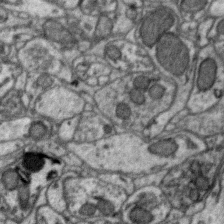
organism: Zebra finch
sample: Brain